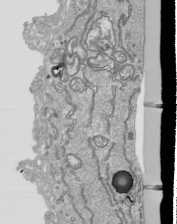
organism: Human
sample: Mitochondria in HCT116 cells